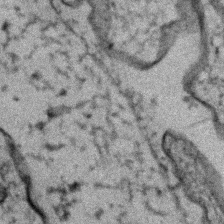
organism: Zebrafish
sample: Zebrafish embryo